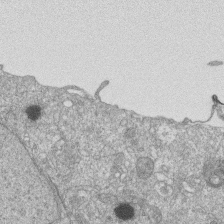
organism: Human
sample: HeLa cell HIV synapse